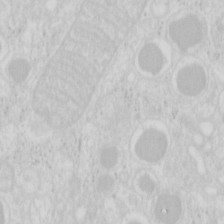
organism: Mouse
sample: Pancreas